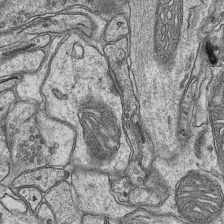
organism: Mouse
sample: CA1 Hippocampus